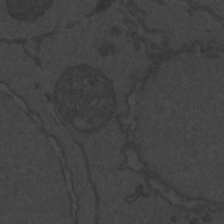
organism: Zebrafish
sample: Macrophage infected with Toxoplasma gondii